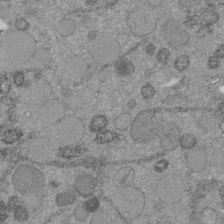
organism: C. elegans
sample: C. elegans embryo early stage